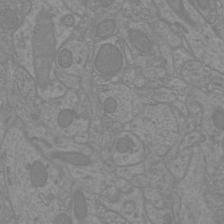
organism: Mouse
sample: Cortical neurons